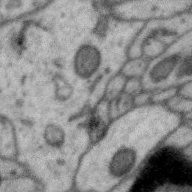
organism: Zebra finch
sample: Brain